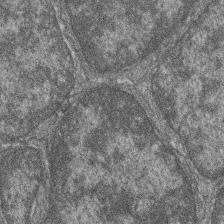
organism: Zebrafish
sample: Cilia; retinal pigment epithelium